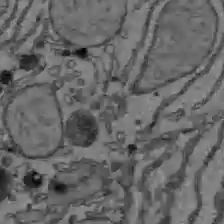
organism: C57BL Mouse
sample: Liver